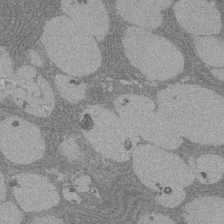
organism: Rat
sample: Salivary granule